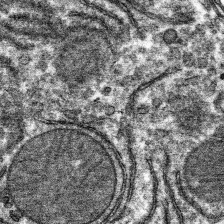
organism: Mouse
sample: Mouse hepatocytes